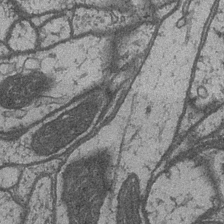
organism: Drosophila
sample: Optic medulla